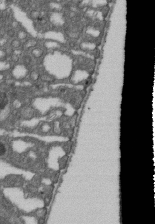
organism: Drosophila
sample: Nephrocyte